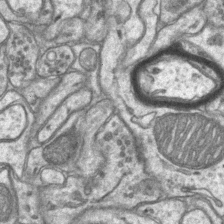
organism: Mouse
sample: CA1 Hippocampus